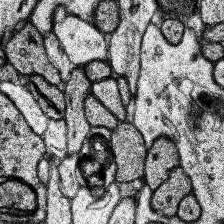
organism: Human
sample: Temporal Lobe